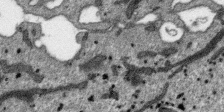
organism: Human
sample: Lung epithelial cells, uninfected (mock) control